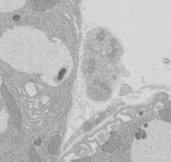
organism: Rat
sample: Salivary granule